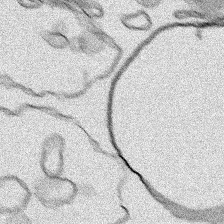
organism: Human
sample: Mitochondria in HCT116 cells